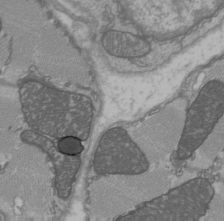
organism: C57BL Mouse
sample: Heart